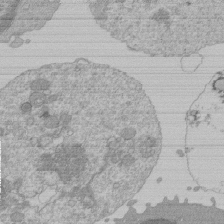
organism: Mouse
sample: Activated Pmel transgenic CD8+ T Cells